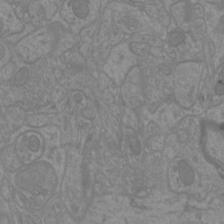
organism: Mouse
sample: Cortical neurons